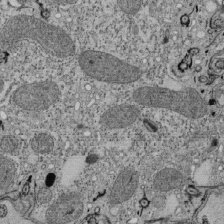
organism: Tetrahymena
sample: Cilia in tetrahymena